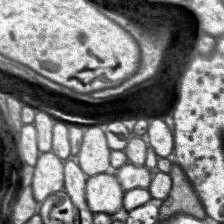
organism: Human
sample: Temporal Lobe